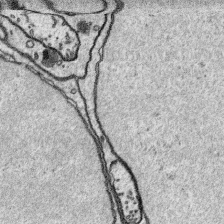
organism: Platynereis dumerilii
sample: Parapodia